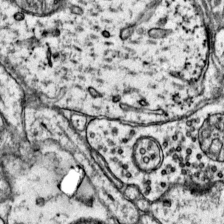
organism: Mouse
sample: Primary visual cortex